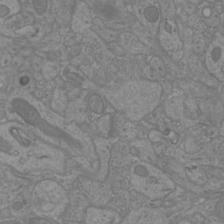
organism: Mouse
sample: Cortical neurons